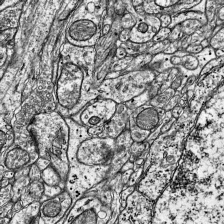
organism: Mouse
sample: Visual Cortex